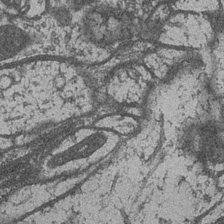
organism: Drosophila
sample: Optic medulla